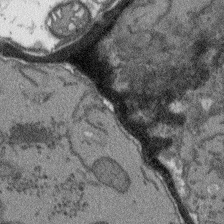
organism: Arabidopsis thaliana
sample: Root tip